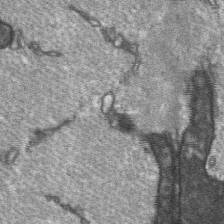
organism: C57BL Mouse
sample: Soleus